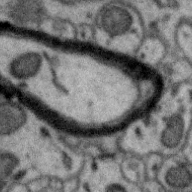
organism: Zebra finch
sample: Brain